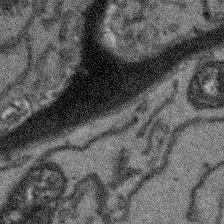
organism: Arabidopsis thaliana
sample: Root tip